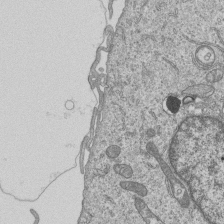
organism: Human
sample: MDA-MB-231 cells